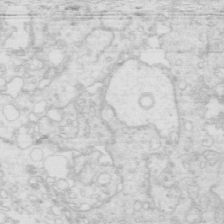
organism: Mouse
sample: Multiciliated cells